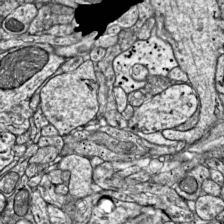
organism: Mouse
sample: Visual Cortex